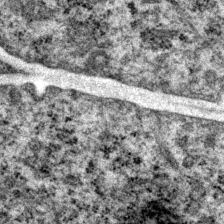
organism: P. pacificus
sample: Pharynx